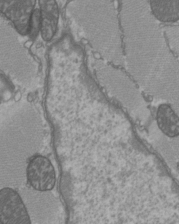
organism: C57BL Mouse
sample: Heart